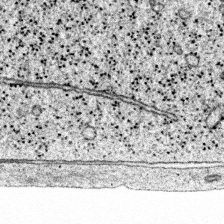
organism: Human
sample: HeLa cells